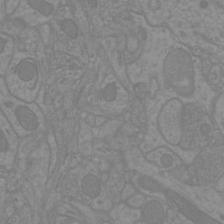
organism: Mouse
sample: Cortical neurons